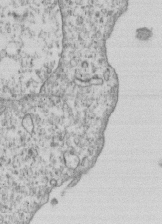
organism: Human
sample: MDA-MB-231 cells